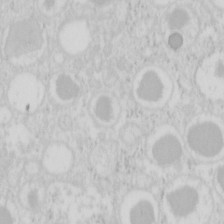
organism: Mouse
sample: Pancreas